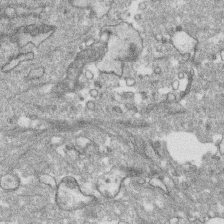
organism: Human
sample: CRL-1474